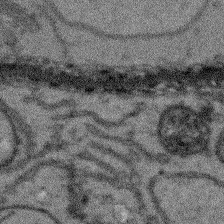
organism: Arabidopsis thaliana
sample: Root tip